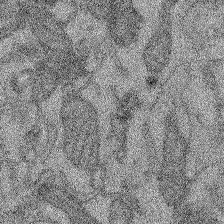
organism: Human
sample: HeLa cells